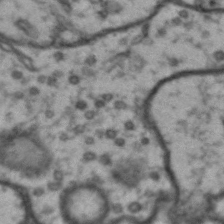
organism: Drosophila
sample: Brain